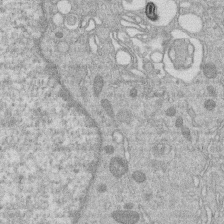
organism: Human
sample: Macrophage cells